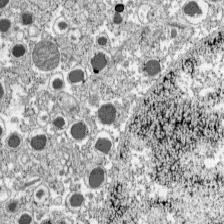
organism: C57BL Mouse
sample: Pancreatic islet